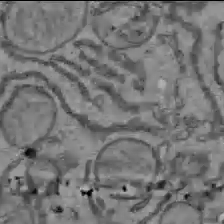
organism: C57BL Mouse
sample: Liver